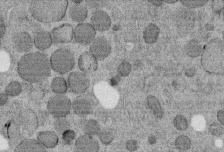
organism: C. elegans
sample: C. elegans embryo early stage